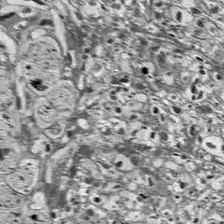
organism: Drosophila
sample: Optic lobe